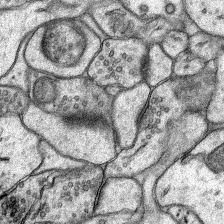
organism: Rat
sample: Hippocampus